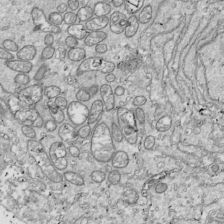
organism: Drosophila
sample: Cell division; meiosis; drosophila spermatocytes